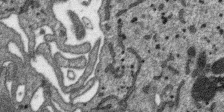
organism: Human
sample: Lung epithelial cells infected with SARS-CoV-2